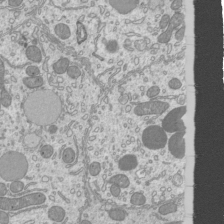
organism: Mouse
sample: Cilia; mouse epididymis